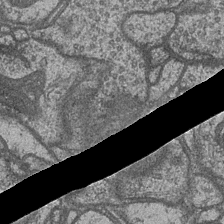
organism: Drosophila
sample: Optic medulla